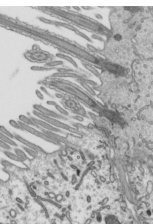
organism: Mouse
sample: Mouse epididymis efferent ductule cilia